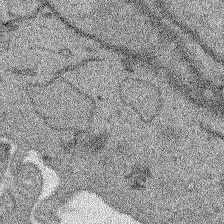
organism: Human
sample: HeLa cells